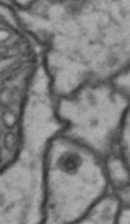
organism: Drosophila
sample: Brain